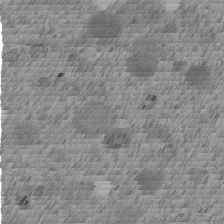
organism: C. elegans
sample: C. elegans embryo early stage